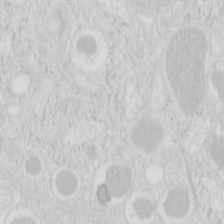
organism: Mouse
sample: Pancreas